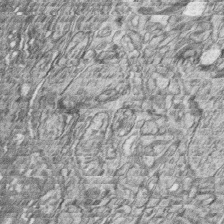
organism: Zebrafish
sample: synaptic ribbons in rod cells and cone cells